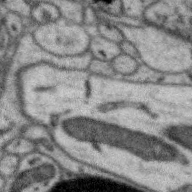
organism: Zebra finch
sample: Brain